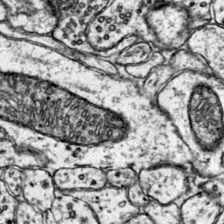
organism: Mouse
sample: Primary visual cortex